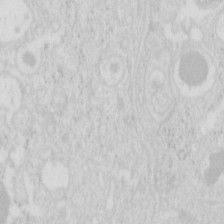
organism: Mouse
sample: Pancreas